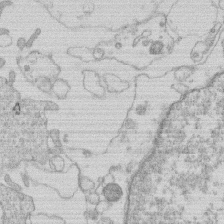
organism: Human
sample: Macrophage cells